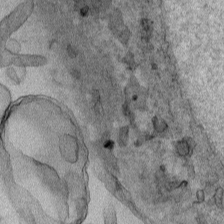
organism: Human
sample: Mitochondria in HCT116 cells